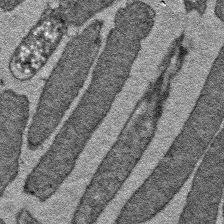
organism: E. coli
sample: E. Coli Bacteria